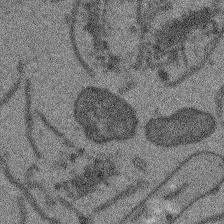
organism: Arabidopsis thaliana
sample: Root tip